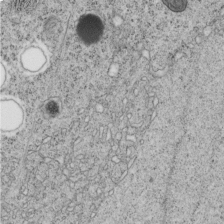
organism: C. elegans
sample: C. elegans embryo early stage